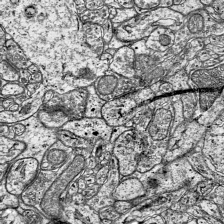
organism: Mouse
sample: Visual Cortex